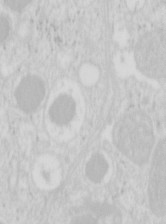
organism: Mouse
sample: Pancreas